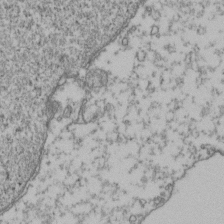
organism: Human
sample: Activated Jurkat CD4+ T cells